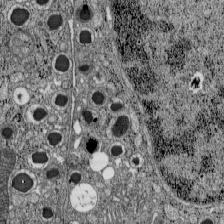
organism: C57BL Mouse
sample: Pancreatic islet